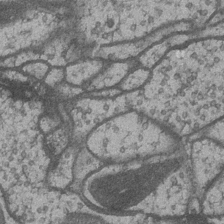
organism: Drosophila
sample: Optic medulla